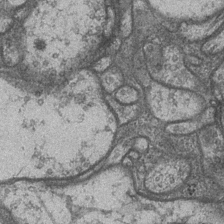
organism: Drosophila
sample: Optic medulla